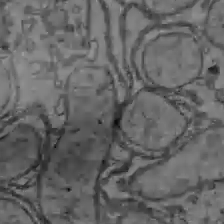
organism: C57BL Mouse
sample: Liver